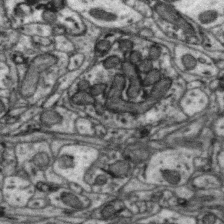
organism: Zebra finch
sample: Brain